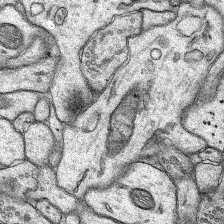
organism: Rat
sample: Hippocampus